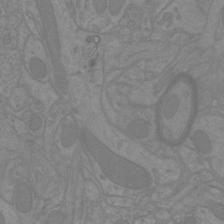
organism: Mouse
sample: Cortical neurons